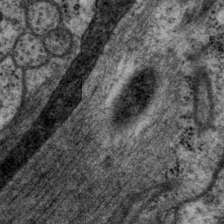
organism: P. pacificus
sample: Pharynx